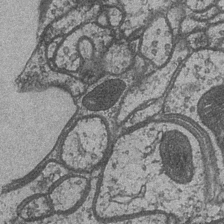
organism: Drosophila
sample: Optic medulla